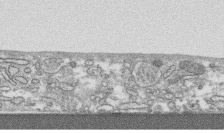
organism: Human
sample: CRL-1474